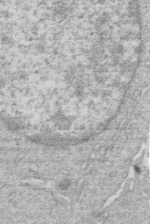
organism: Human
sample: Macrophage cells